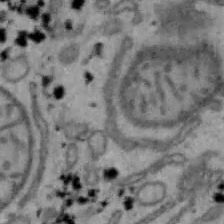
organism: Mouse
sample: Liver